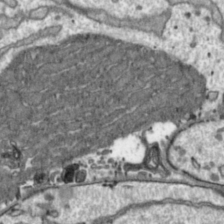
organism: Toxoplasma gondii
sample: Parasites in a vacuole inside a host cell